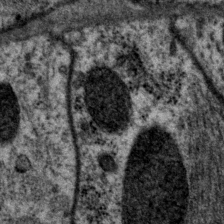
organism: P. pacificus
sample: Pharynx